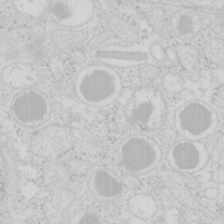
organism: Mouse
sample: Pancreas